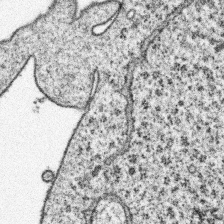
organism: Human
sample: HeLa cells